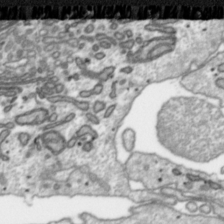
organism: Toxoplasma gondii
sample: Parasites in a vacuole inside a host cell